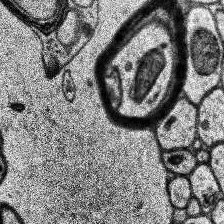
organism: Human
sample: Temporal Lobe